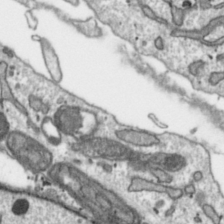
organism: Toxoplasma gondii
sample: Parasites in a vacuole inside a host cell